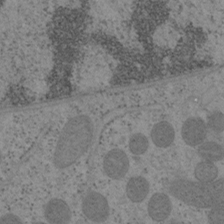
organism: Mouse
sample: OT-I killer T cells with ID8 ovarian cancer cells